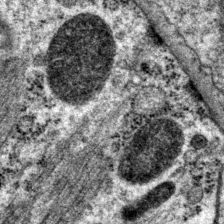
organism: P. pacificus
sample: Pharynx